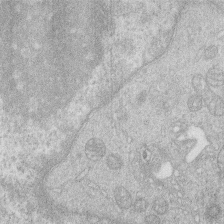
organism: Human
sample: Macrophage cells